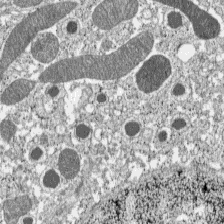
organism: C57BL Mouse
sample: Pancreatic islet